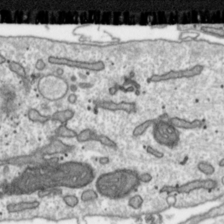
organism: Toxoplasma gondii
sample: Parasites in a vacuole inside a host cell